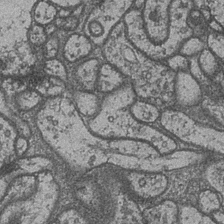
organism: Drosophila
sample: Optic medulla